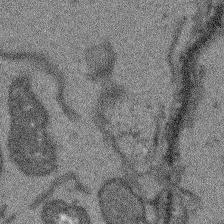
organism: Arabidopsis thaliana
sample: Root tip